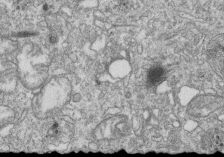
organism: Human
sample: HeLa cell HIV synapse